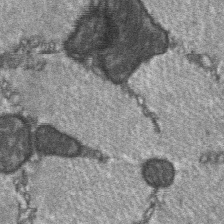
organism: C57BL Mouse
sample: Soleus